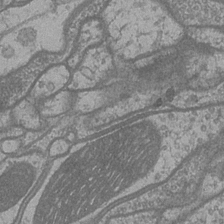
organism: Drosophila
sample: Optic medulla